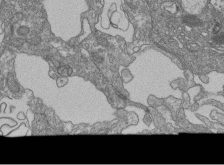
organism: Human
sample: Retinal organoid Rod and Cone cells